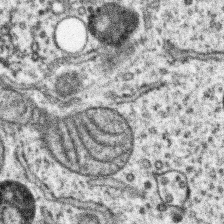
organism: Human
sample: HeLa cells